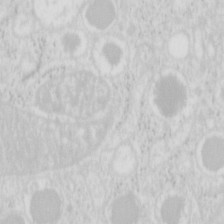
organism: Mouse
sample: Pancreas